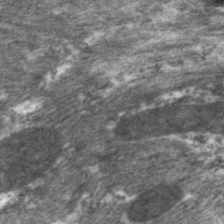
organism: C. elegans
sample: Pharynx